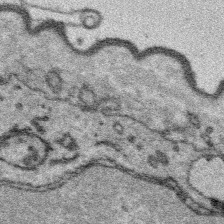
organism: Platynereis dumerilii